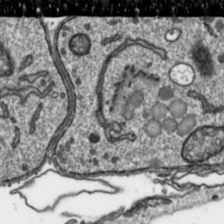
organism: Toxoplasma gondii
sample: Parasites in a vacuole inside a host cell